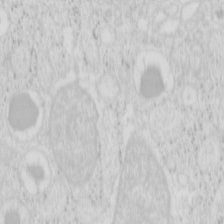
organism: Mouse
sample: Pancreas